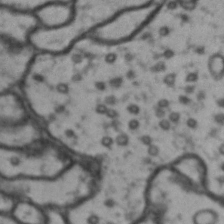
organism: Drosophila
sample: Brain